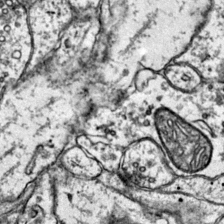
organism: Mouse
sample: Primary visual cortex